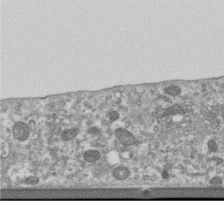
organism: Human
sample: Centriole in RPE cells